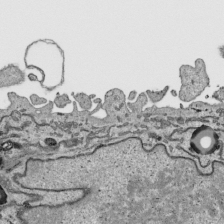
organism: Human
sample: Mitochondria in HCT116 cells